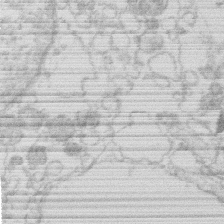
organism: Human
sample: Macrophage cells